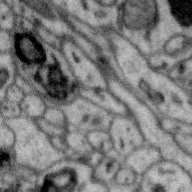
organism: Zebra finch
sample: Brain